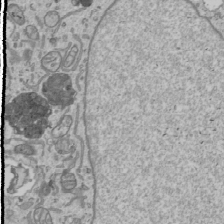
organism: Human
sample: Mitochondria in U2OS cells